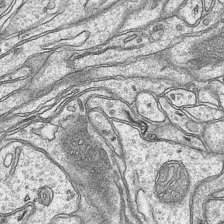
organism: Mouse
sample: CA1 Hippocampus